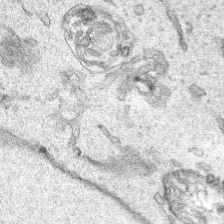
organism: Human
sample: Mitochondria in HCT116 cells